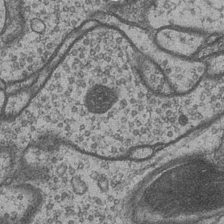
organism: Drosophila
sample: Optic medulla